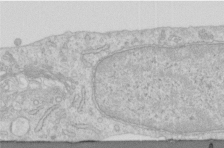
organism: Human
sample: Centriole in RPE cells